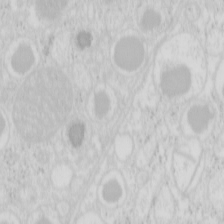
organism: Mouse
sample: Pancreas